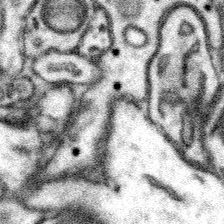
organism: Mouse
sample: Somatosensory cortex neuropil